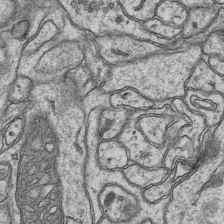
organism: Mouse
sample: CA1 Hippocampus